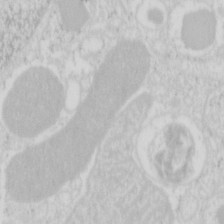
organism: Mouse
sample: Pancreas